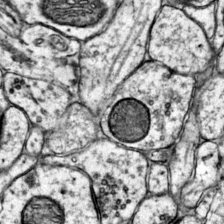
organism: Mouse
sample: Primary visual cortex